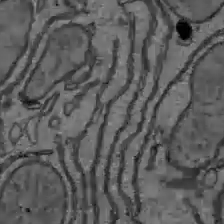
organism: C57BL Mouse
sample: Liver